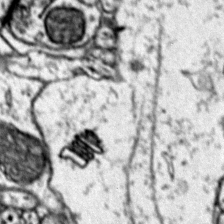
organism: Mouse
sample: Primary visual cortex